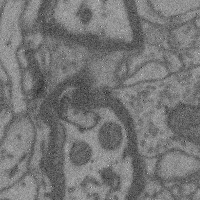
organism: Mouse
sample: Cerebral cortex